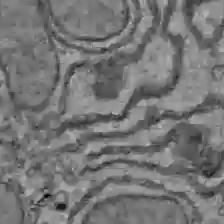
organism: C57BL Mouse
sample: Liver